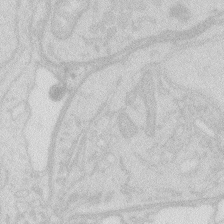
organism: Zebrafish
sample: Macrophage